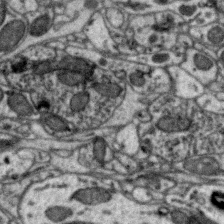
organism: Zebra finch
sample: Brain